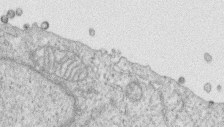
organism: Human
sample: HeLa cell HIV synapse